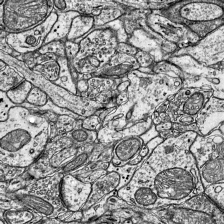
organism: Mouse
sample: Visual Cortex